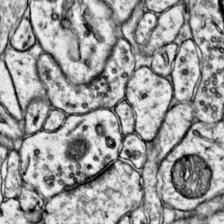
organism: Mouse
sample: Primary visual cortex